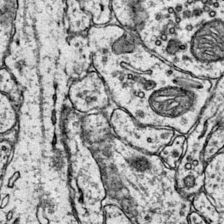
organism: Mouse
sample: Primary visual cortex